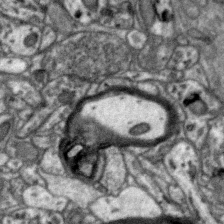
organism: Zebra finch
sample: Brain